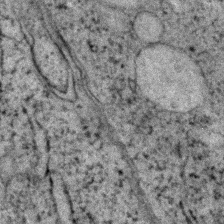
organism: Zebrafish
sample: Zebrafish embryo